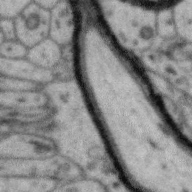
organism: Zebra finch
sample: Brain